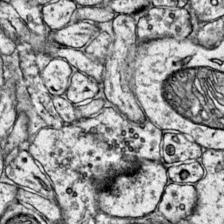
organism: Mouse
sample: Primary visual cortex